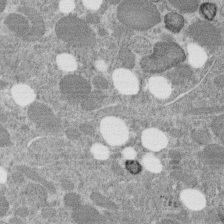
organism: C. elegans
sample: C. elegans embryo early stage